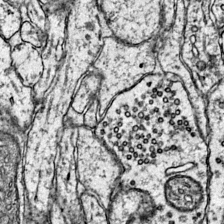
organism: Mouse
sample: Primary visual cortex